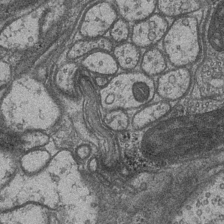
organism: Drosophila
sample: Optic medulla